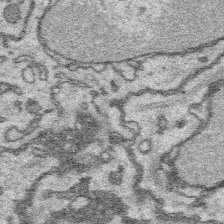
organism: Platynereis dumerilii